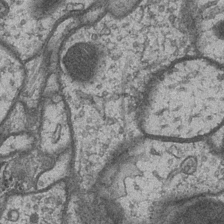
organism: Drosophila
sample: Optic medulla